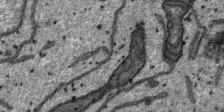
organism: Human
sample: Lung epithelial cells, uninfected (mock) control